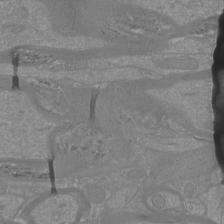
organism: Mouse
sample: Cortical neurons